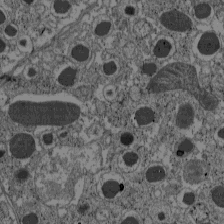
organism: C57BL Mouse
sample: Pancreatic islet